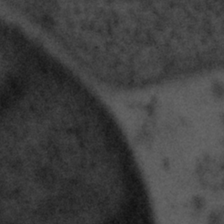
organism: Tuwongella immobilis